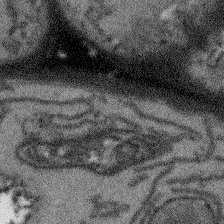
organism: Arabidopsis thaliana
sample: Root tip